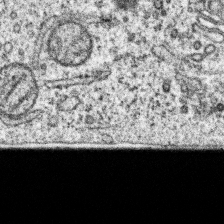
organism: Human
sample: HeLa cells